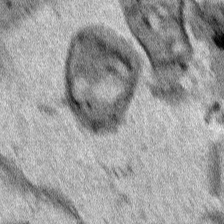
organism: Human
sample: Mitochondria in HCT116 cells